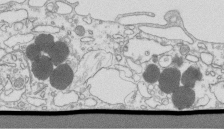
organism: Mouse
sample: Macrophages